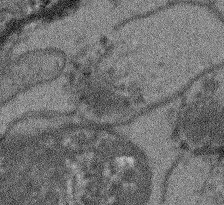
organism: Arabidopsis thaliana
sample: Root tip